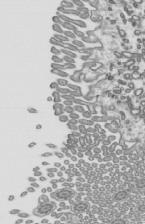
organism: Mouse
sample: Mouse epididymis efferent ductule cilia